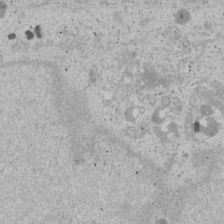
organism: Human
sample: Mitochondria in U2OS cells